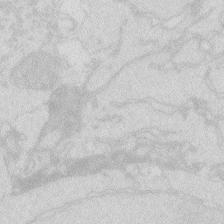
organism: Zebrafish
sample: Macrophage